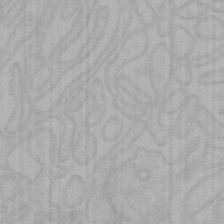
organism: Mouse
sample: Choroid plexus